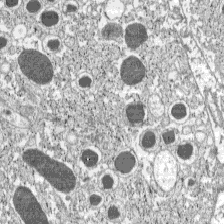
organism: C57BL Mouse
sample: Pancreatic islet